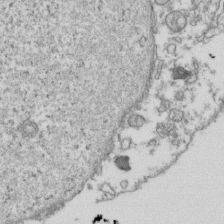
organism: Human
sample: Activated Jurkat CD4+ T cells